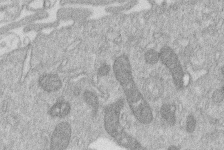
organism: Human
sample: Macrophage cells